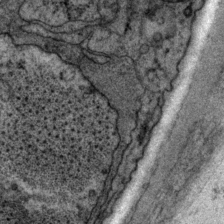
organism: P. pacificus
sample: Pharynx